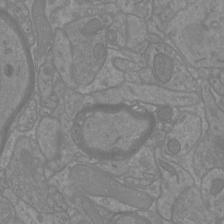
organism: Mouse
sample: Cortical neurons